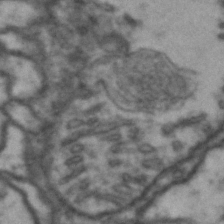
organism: Drosophila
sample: Brain